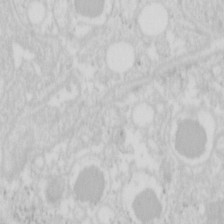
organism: Mouse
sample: Pancreas